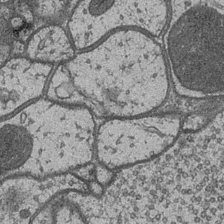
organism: Drosophila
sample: Optic medulla